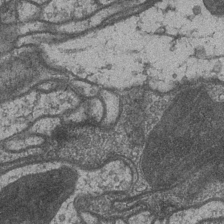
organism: Drosophila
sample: Optic medulla